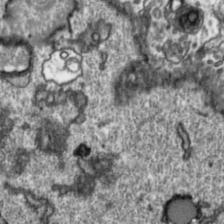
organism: Toxoplasma gondii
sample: Parasites in a vacuole inside a host cell